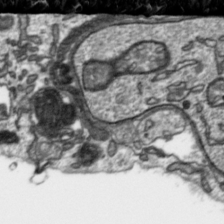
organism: Toxoplasma gondii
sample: Parasites in a vacuole inside a host cell